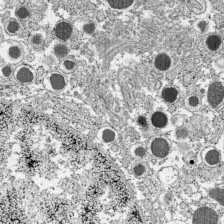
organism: C57BL Mouse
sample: Pancreatic islet